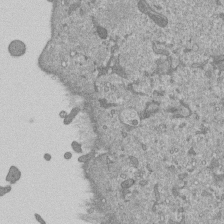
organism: Mouse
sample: ED-1 cell nuclei; centrioles